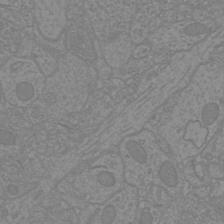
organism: Mouse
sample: Cortical neurons